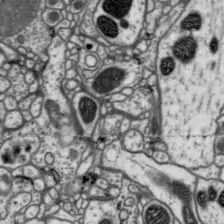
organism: Drosophila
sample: Protocerebral bridge